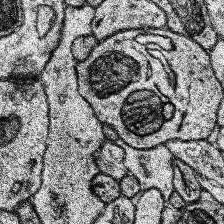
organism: Human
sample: Temporal Lobe